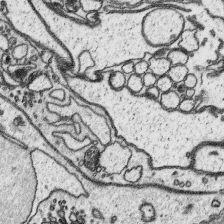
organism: Platynereis dumerilii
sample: Parapodia